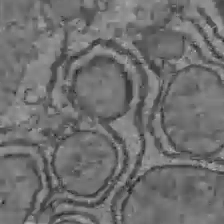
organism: C57BL Mouse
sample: Liver